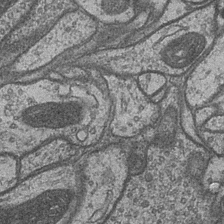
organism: Drosophila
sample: Optic medulla